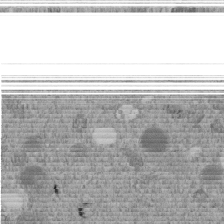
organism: C. elegans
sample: C. elegans embryo early stage